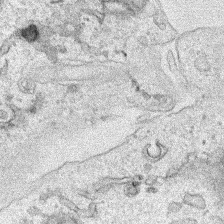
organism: Human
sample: Mitochondria in HCT116 cells